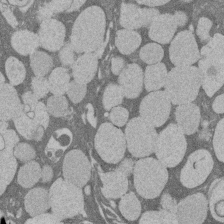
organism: Rat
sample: Salivary granule